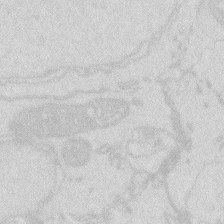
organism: Zebrafish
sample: Macrophage